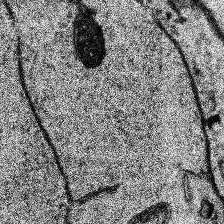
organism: Human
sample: Temporal Lobe